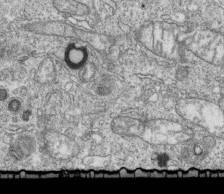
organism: Human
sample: HeLa cell HIV synapse